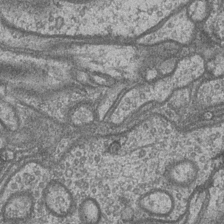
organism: Drosophila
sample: Optic medulla